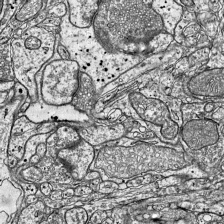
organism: Mouse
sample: Visual Cortex